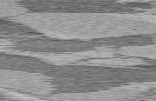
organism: C57BL Mouse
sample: Heart